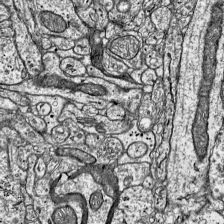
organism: Mouse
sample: Visual Cortex